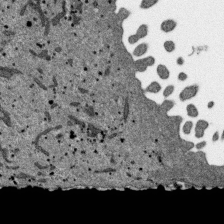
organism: Human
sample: Lung epithelial cells, uninfected (mock) control